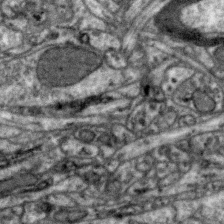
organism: Zebra finch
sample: Brain